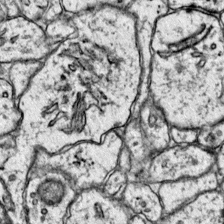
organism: Mouse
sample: Primary visual cortex